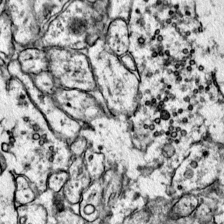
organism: Mouse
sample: Primary visual cortex